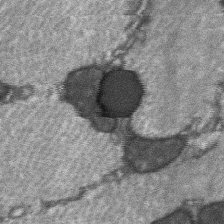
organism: C57BL Mouse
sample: Soleus